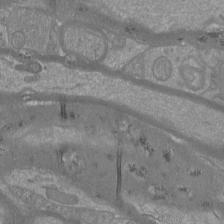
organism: Mouse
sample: Cortical neurons